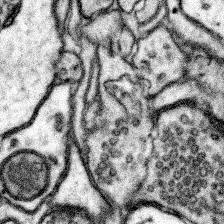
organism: Mouse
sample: Somatosensory cortex neuropil